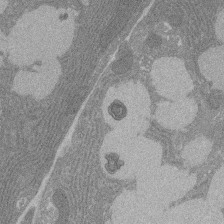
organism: Rat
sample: Salivary granule